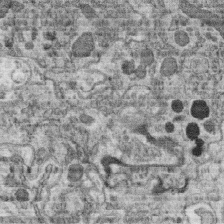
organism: C. elegans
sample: C. elegans oocyte; sperm cells